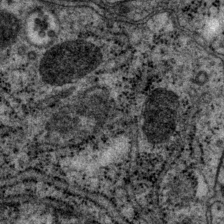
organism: P. pacificus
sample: Pharynx